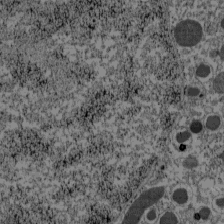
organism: C57BL Mouse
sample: Pancreatic islet